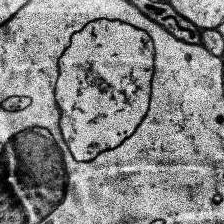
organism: Human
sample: Temporal Lobe